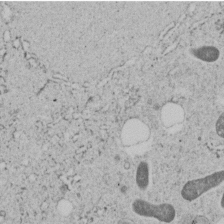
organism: C. elegans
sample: C. elegans embryo early stage